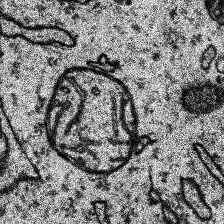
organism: Human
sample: Temporal Lobe